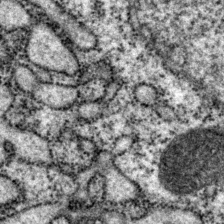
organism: P. pacificus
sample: Pharynx